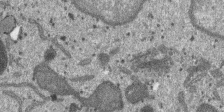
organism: Human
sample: Lung epithelial cells infected with SARS-CoV-2